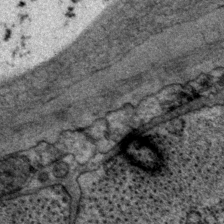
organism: P. pacificus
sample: Pharynx